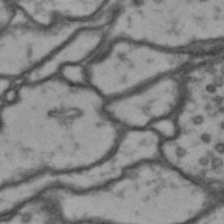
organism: Drosophila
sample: Brain